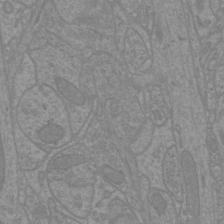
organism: Mouse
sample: Cortical neurons